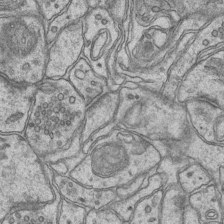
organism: Mouse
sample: CA1 Hippocampus